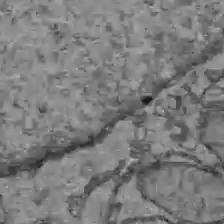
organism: C57BL Mouse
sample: Liver